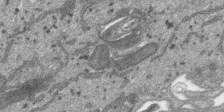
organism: Human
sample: Lung epithelial cells infected with SARS-CoV-2